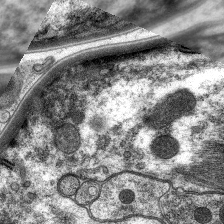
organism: C. elegans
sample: Pharynx